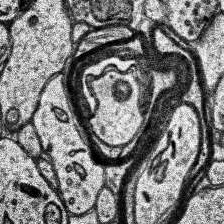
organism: Human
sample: Temporal Lobe